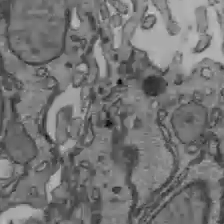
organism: C57BL Mouse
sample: Liver